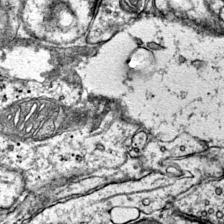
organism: Mouse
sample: Primary visual cortex